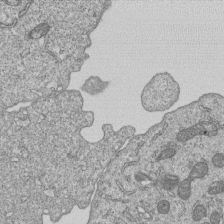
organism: Human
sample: MDA-MB-231 cells